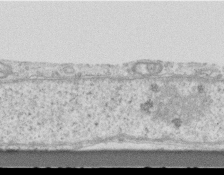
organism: Mouse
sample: Centriole in ependymal cells